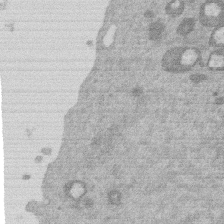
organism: Mouse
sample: Dividing mouse embryo 1 cell stage